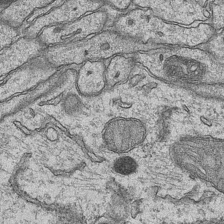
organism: Mouse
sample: CA1 Hippocampus